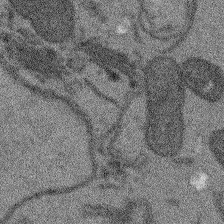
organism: Arabidopsis thaliana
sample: Root tip